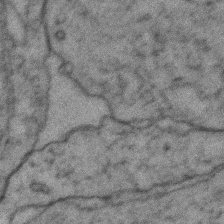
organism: Zebrafish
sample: Zebrafish embryo